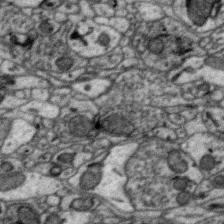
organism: Zebra finch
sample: Brain